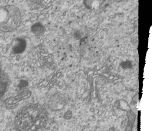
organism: Human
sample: MDA-MB-231 cells